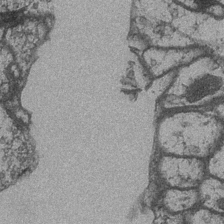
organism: Drosophila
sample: Optic medulla